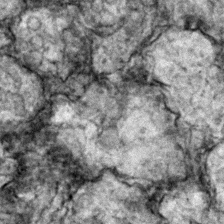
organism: Zebrafish